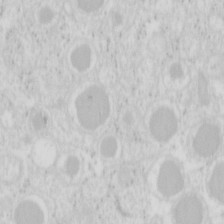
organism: Mouse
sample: Pancreas